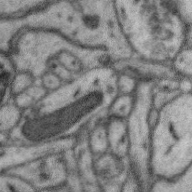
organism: Zebra finch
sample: Brain